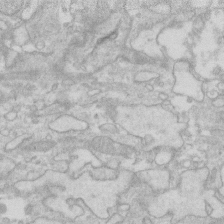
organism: Human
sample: Fibroblast cells